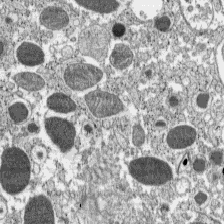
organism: C57BL Mouse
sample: Pancreatic islet